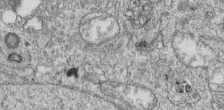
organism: Human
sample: HeLa cell HIV synapse